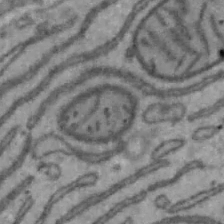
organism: Mouse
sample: Liver